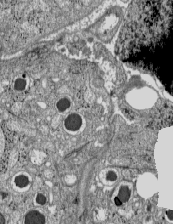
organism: C57BL Mouse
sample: Pancreatic islet